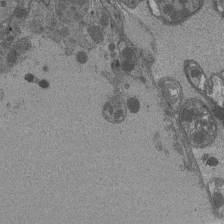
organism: Drosophila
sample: Antenna